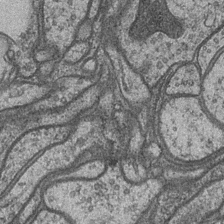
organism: Drosophila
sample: Optic medulla